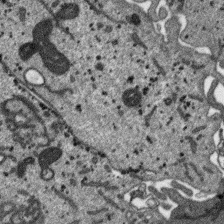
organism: Human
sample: Lung epithelial cells infected with SARS-CoV-2